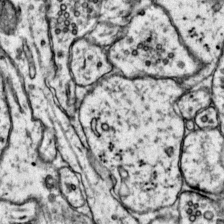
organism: Mouse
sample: Primary visual cortex